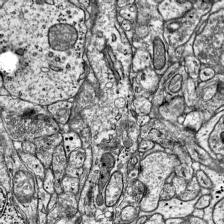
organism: Mouse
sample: Visual Cortex